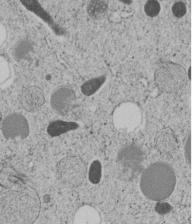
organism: C. elegans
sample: C. elegans embryo early stage